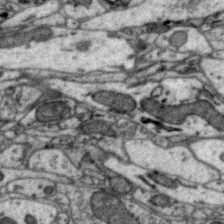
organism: Zebra finch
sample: Brain